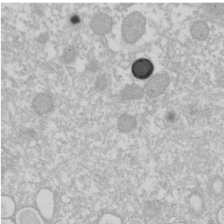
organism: Xenopus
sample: Cilia; centrioles in frog embryo cells